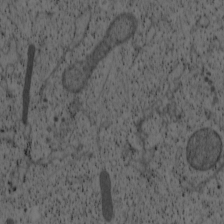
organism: African green monkey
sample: COS-7 cells